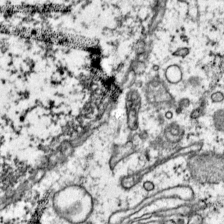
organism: Mouse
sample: Primary visual cortex